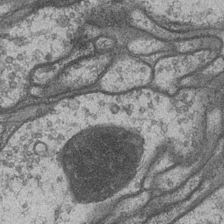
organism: Drosophila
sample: Optic medulla